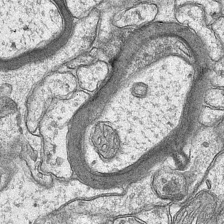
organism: Mouse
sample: CA1 Hippocampus